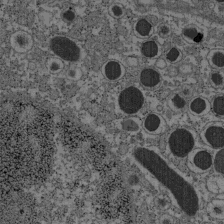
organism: C57BL Mouse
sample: Pancreatic islet